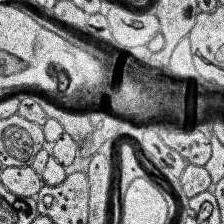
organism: Human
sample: Temporal Lobe